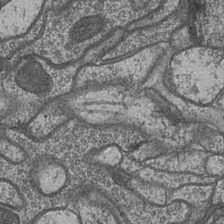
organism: Drosophila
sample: Optic medulla